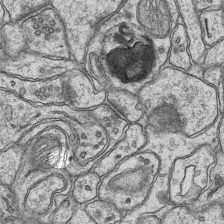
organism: Mouse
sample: CA1 Hippocampus